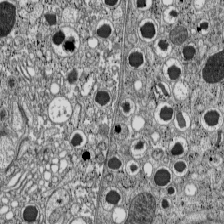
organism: C57BL Mouse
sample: Pancreatic islet